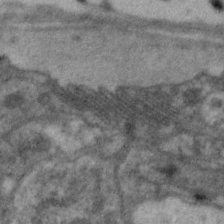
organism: C. elegans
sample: Pharynx